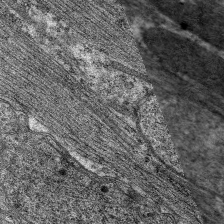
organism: C. elegans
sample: Pharynx